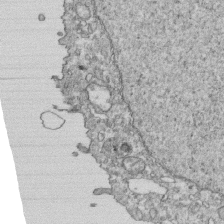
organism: Human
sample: HeLa cell HIV synapse